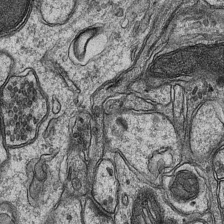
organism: Mouse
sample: CA1 Hippocampus